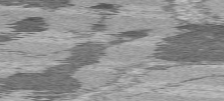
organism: C57BL Mouse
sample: Heart